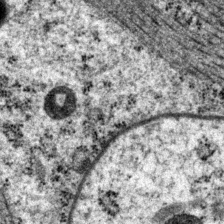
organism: P. pacificus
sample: Pharynx